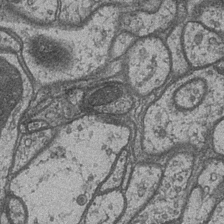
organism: Drosophila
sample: Optic medulla